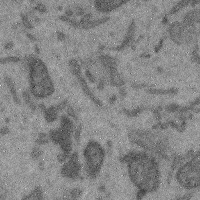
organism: Mouse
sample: Cerebral cortex